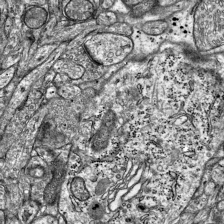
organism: Mouse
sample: Visual Cortex